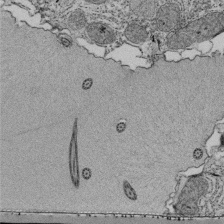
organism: Tetrahymena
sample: Cilia in tetrahymena